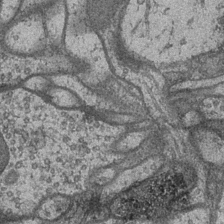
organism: Drosophila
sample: Optic medulla